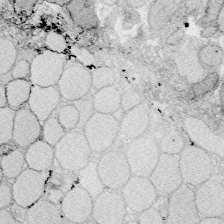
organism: Zebrafish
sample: Whole-Brain